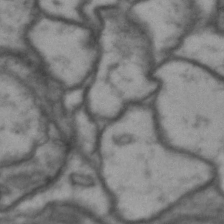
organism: Drosophila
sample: Brain